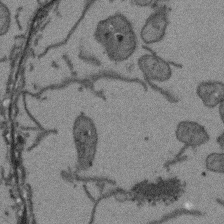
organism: Arabidopsis thaliana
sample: Root tip